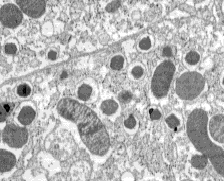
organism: C57BL Mouse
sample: Pancreatic islet